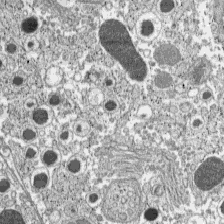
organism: C57BL Mouse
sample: Pancreatic islet